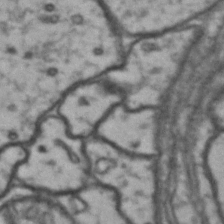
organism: Drosophila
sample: Brain